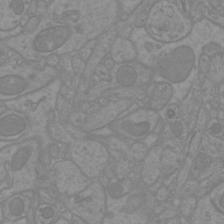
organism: Mouse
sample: Cortical neurons